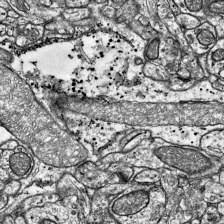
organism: Mouse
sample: Visual Cortex